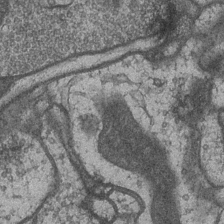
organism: Drosophila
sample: Optic medulla